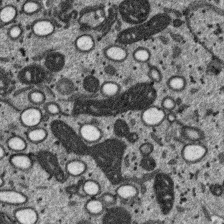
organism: Human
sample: Lung epithelial cells infected with SARS-CoV-2